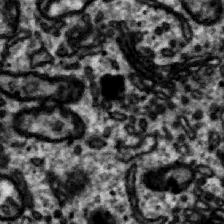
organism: Human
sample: HeLa cells